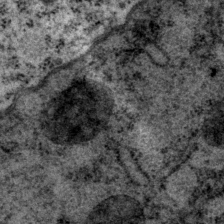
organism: P. pacificus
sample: Pharynx